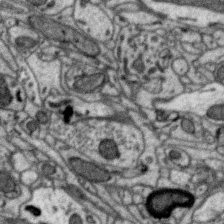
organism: Zebra finch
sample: Brain